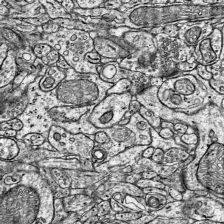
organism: Mouse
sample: Visual Cortex